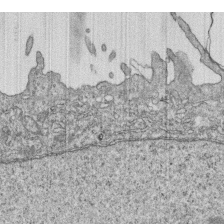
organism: Human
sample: HeLa cell HIV synapse